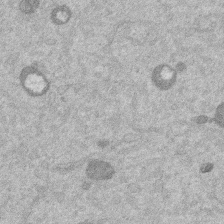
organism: Mouse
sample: Dividing mouse embryo 1 cell stage